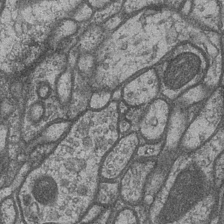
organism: Drosophila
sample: Optic medulla